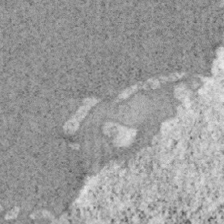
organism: Mouse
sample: OT-I killer T cells with ID8 ovarian cancer cells